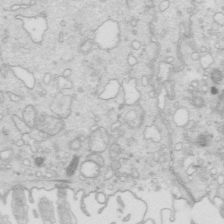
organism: Mouse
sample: Multiciliated cells